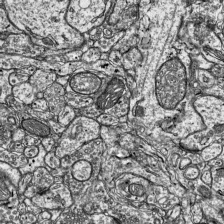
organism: Mouse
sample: Visual Cortex